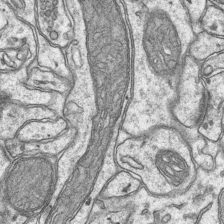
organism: Mouse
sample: CA1 Hippocampus